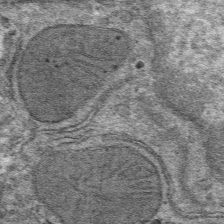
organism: Mouse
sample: Mouse hepatocytes